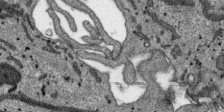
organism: Human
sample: Lung epithelial cells, uninfected (mock) control